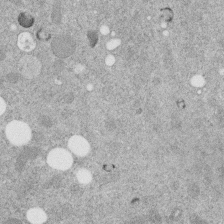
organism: C. elegans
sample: C. elegans embryo early stage